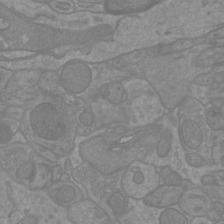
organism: Mouse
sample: Cortical neurons